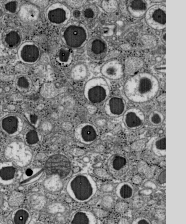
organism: C57BL Mouse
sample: Pancreatic islet